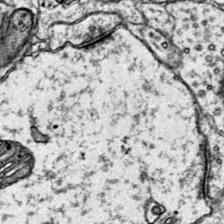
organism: Mouse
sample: Primary visual cortex